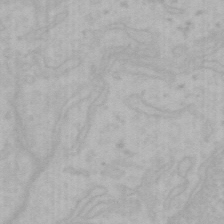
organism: Mouse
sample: Choroid plexus